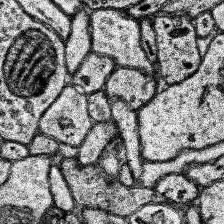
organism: Human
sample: Temporal Lobe